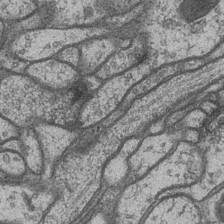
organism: Drosophila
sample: Optic medulla